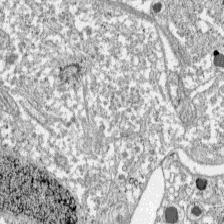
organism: C57BL Mouse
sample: Pancreatic islet